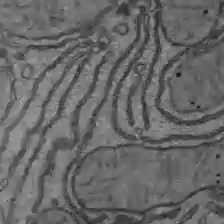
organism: C57BL Mouse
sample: Liver